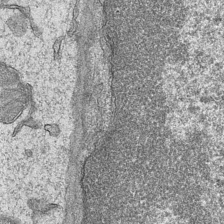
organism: Mouse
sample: CA1 Hippocampus